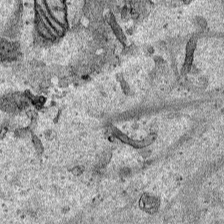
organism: Human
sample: Mitochondria in HCT116 cells